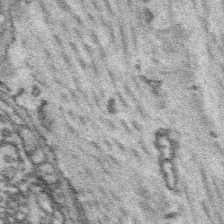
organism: Platynereis dumerilii